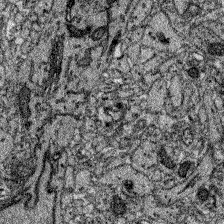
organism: Zebrafish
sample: Larval olfactory bulb